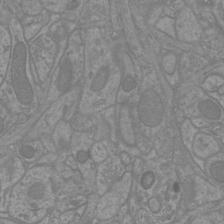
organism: Mouse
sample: Cortical neurons